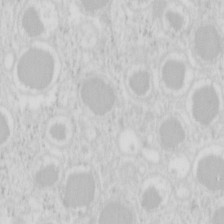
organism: Mouse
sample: Pancreas